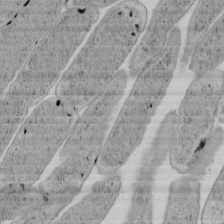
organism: E. coli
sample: Bacterial nucleoid